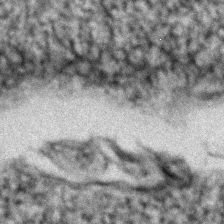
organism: Zebrafish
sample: Zebrafish embryo